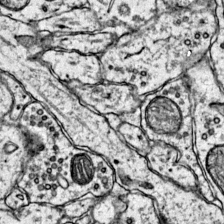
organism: Mouse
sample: Primary visual cortex